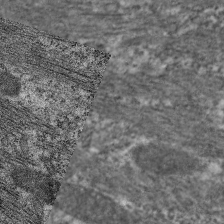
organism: C. elegans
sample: Pharynx